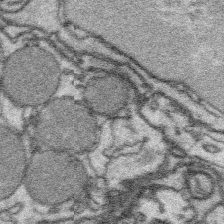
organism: Platynereis dumerilii